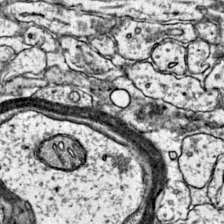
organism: Mouse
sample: Primary visual cortex